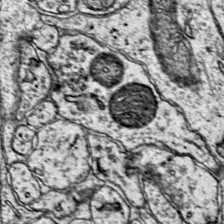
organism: Mouse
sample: Primary visual cortex